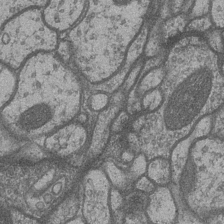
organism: Drosophila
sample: Optic medulla